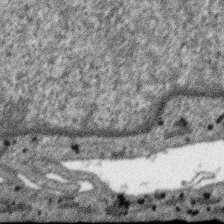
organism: Human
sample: Lung epithelial cells infected with SARS-CoV-2